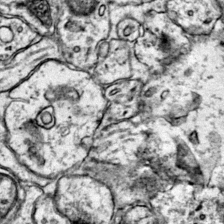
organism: Mouse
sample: Primary visual cortex